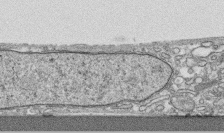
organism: Human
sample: CRL-1474